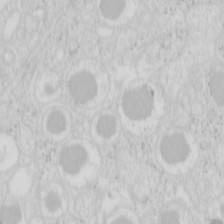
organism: Mouse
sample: Pancreas